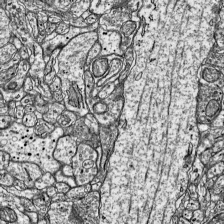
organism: Mouse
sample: Visual Cortex